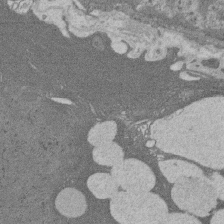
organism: Rat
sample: Salivary granule